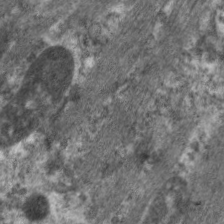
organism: C. elegans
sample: Pharynx